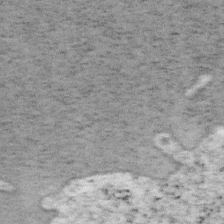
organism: Mouse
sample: OT-I killer T cells with ID8 ovarian cancer cells